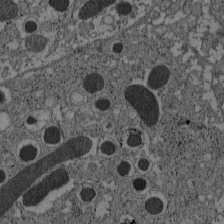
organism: C57BL Mouse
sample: Pancreatic islet